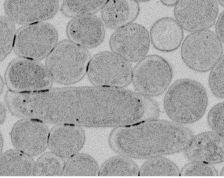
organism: E. coli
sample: Bacterial nucleoid